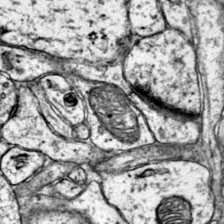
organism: Mouse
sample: Primary visual cortex